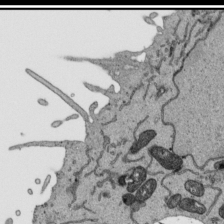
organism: Human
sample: Mitochondria in HCT116 cells